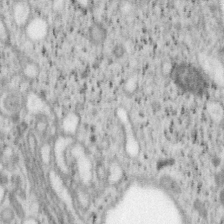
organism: Mouse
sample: OT-I killer T cells with ID8 ovarian cancer cells